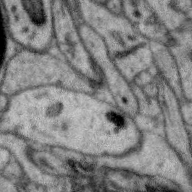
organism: Zebra finch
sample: Brain